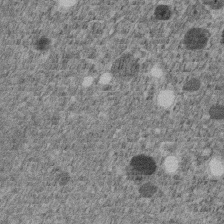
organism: C. elegans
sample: C. elegans embryo early stage